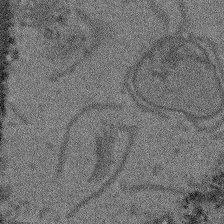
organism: Arabidopsis thaliana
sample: Root tip